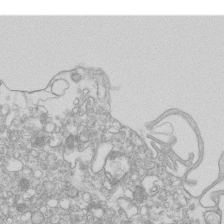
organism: Mouse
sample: Macrophages